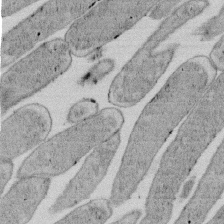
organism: E. coli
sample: Bacterial nucleoid